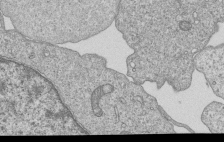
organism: Human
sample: MDA-MB-231 cells